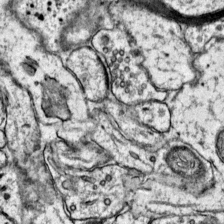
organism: Mouse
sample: Primary visual cortex